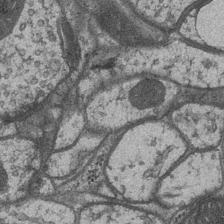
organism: Drosophila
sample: Optic medulla